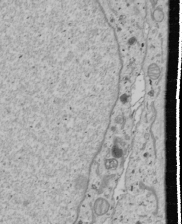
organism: Human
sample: Mitochondria in U2OS cells